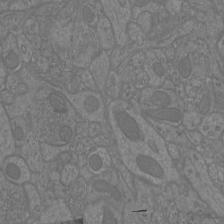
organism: Mouse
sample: Cortical neurons